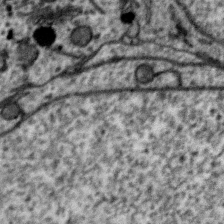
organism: Zebra finch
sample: Brain